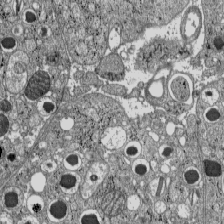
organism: C57BL Mouse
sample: Pancreatic islet